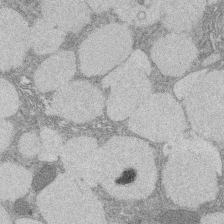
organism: Rat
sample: Salivary granule